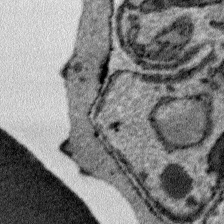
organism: Plasmodium falciparum